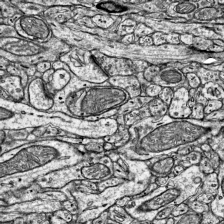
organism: Mouse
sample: Visual Cortex